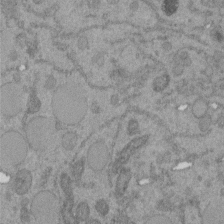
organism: C. elegans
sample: C. elegans embryo early stage